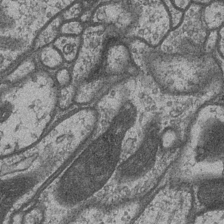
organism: Drosophila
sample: Optic medulla